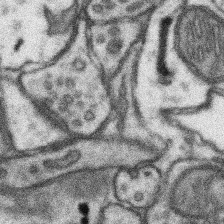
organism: Mouse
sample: Somatosensory cortex neuropil